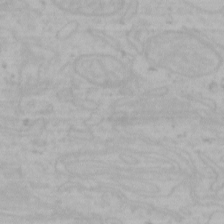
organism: Mouse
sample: Choroid plexus